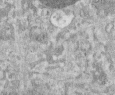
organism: Human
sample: Centriole in RPE cells